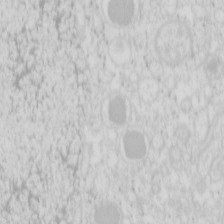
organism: Mouse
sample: Pancreas